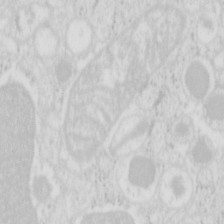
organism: Mouse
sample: Pancreas